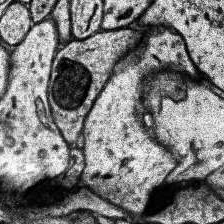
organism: Human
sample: Temporal Lobe